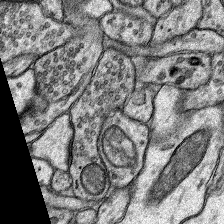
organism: Rat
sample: Hippocampus